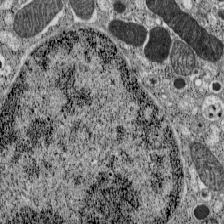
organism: C57BL Mouse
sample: Pancreatic islet